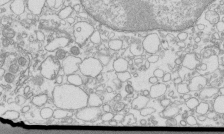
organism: Mouse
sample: Macrophages